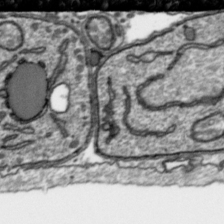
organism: Toxoplasma gondii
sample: Parasites in a vacuole inside a host cell